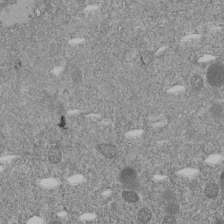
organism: C. elegans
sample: C. elegans embryo early stage